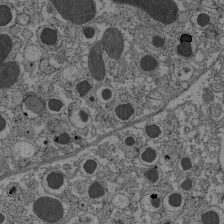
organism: C57BL Mouse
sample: Pancreatic islet